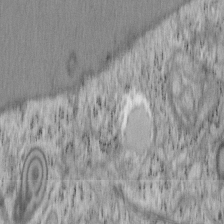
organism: Human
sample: HeLa cells